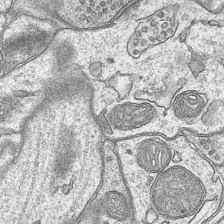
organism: Mouse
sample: CA1 Hippocampus